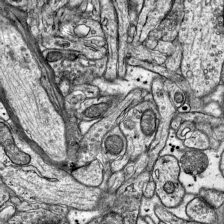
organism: Mouse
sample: Visual Cortex